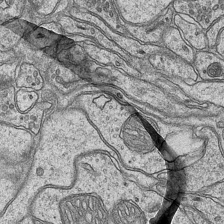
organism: Mouse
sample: CA1 Hippocampus